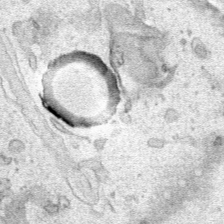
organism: Human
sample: Mitochondria in HCT116 cells